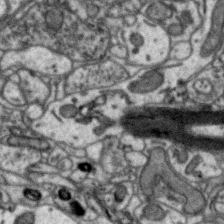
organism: Zebra finch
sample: Brain